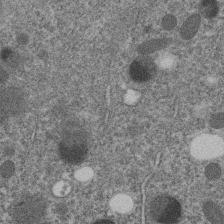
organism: C. elegans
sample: C. elegans embryo early stage